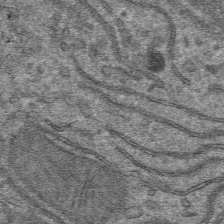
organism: Mouse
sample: Mouse hepatocytes